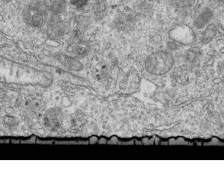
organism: Human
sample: HeLa cell HIV synapse